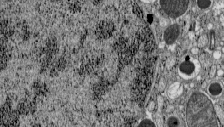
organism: C57BL Mouse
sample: Pancreatic islet